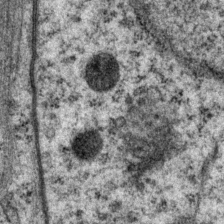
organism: P. pacificus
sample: Pharynx